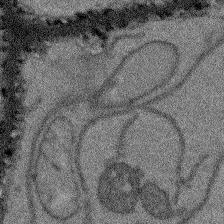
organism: Arabidopsis thaliana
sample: Root tip